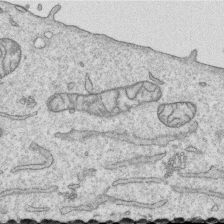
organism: Human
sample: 1205lu cells